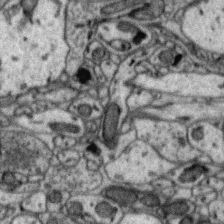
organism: Zebra finch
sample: Brain